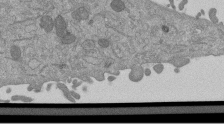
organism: Mouse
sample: ED-1 cell nuclei; centrioles